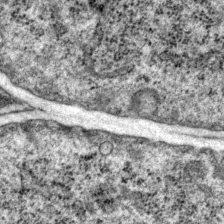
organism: P. pacificus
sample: Pharynx